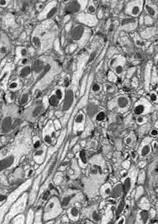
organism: Drosophila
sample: Optic lobe